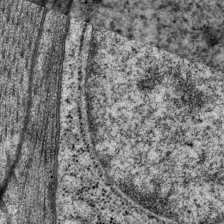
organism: P. pacificus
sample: Pharynx